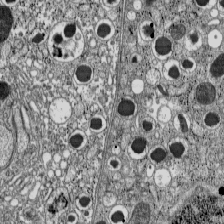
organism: C57BL Mouse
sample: Pancreatic islet